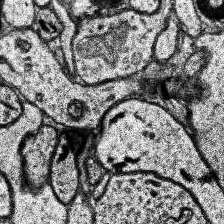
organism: Human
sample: Temporal Lobe